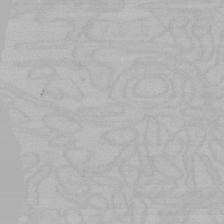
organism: Mouse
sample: Choroid plexus